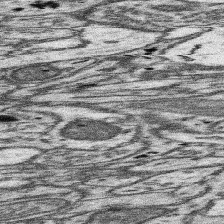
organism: Mouse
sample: Somatosensory cortex neuropil